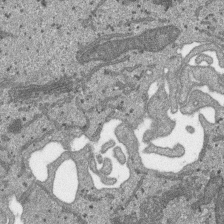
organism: Human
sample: Lung epithelial cells infected with SARS-CoV-2